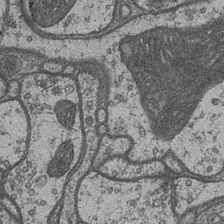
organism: Drosophila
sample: Optic medulla